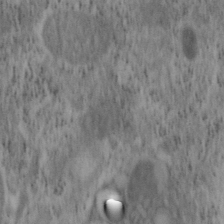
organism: Mouse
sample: OT-I killer T cells with ID8 ovarian cancer cells